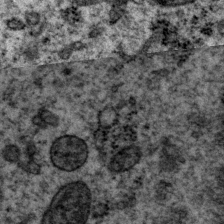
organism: P. pacificus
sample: Pharynx